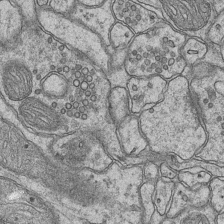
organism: Mouse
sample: CA1 Hippocampus